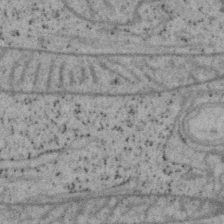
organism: Human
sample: HeLa cells